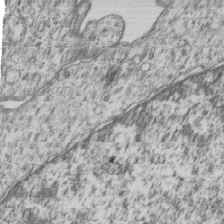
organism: Human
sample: MDA-MB-231 cells